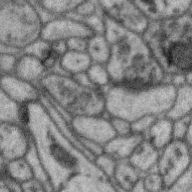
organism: Zebra finch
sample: Brain